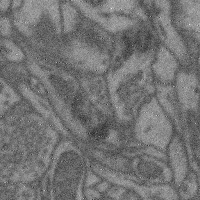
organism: Mouse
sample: Cerebral cortex